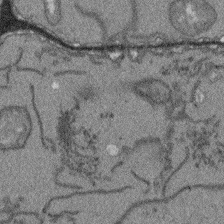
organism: Arabidopsis thaliana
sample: Root tip